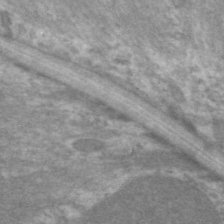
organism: C. elegans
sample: Pharynx